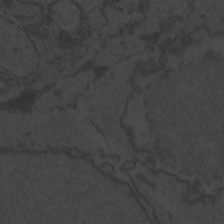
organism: Zebrafish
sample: Macrophage infected with Toxoplasma gondii